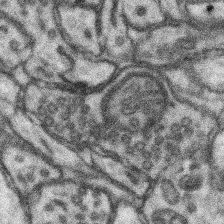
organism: Mouse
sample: Somatosensory cortex neuropil